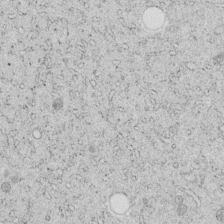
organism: C. elegans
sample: C. elegans embryo early stage